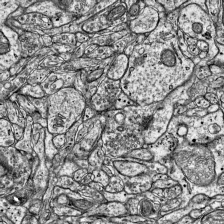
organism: Mouse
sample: Visual Cortex